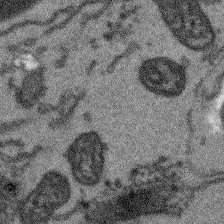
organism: Arabidopsis thaliana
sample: Root tip